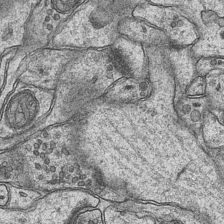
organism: Mouse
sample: CA1 Hippocampus